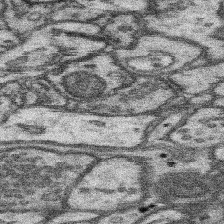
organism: Mouse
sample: Somatosensory cortex neuropil